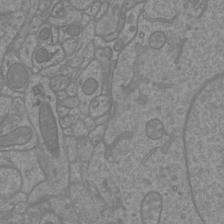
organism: Mouse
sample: Cortical neurons